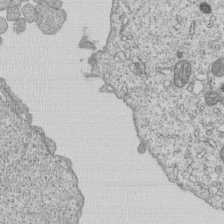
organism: Human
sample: MDA-MB-231 cells